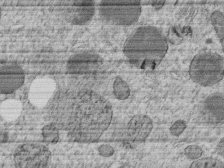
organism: C. elegans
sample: C. elegans embryo early stage